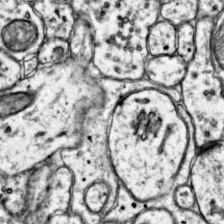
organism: Mouse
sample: Primary visual cortex